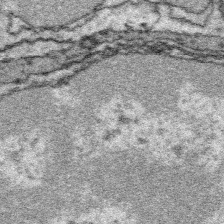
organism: Platynereis dumerilii